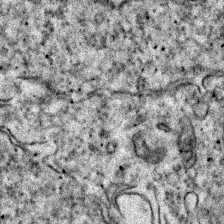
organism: Zebrafish